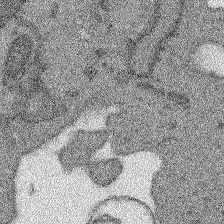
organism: Human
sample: HeLa cells